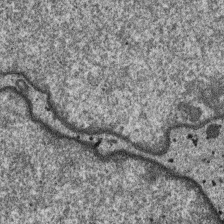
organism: Human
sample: Lung epithelial cells infected with SARS-CoV-2